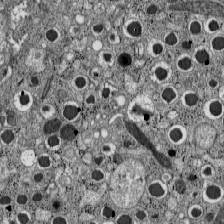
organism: C57BL Mouse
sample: Pancreatic islet